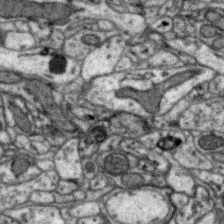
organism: Zebra finch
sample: Brain